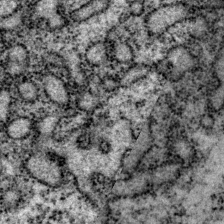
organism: P. pacificus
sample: Pharynx